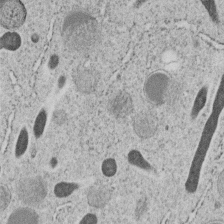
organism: C. elegans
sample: C. elegans embryo early stage